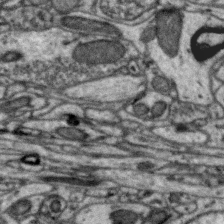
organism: Zebra finch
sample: Brain